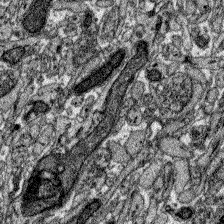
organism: Zebrafish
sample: Larval olfactory bulb